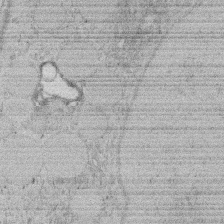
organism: Rat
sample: Salivary granule